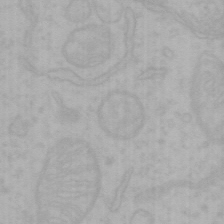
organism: Mouse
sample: Choroid plexus